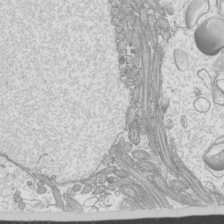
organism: Mouse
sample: Cilia; mouse epididymis